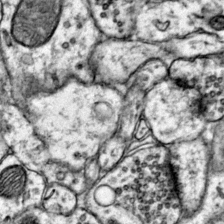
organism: Mouse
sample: Primary visual cortex